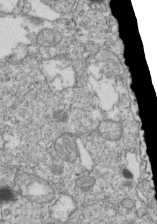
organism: Human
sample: HeLa cell HIV synapse